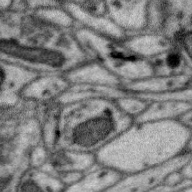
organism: Zebra finch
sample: Brain